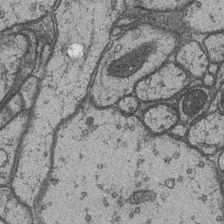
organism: Drosophila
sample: Optic medulla